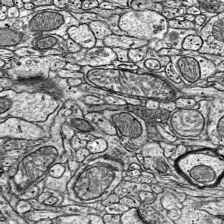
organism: Mouse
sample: Visual Cortex